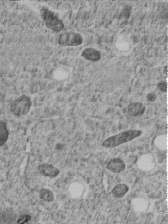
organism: C. elegans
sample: C. elegans embryo early stage